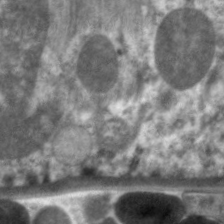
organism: C. elegans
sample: Pharynx